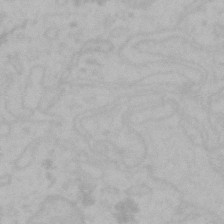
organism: Mouse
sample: Choroid plexus